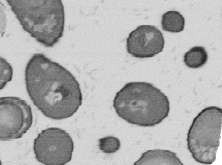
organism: B. subtilis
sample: Bacterial spore